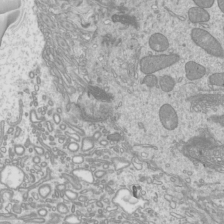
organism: Mouse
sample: Cilia; mouse epididymis